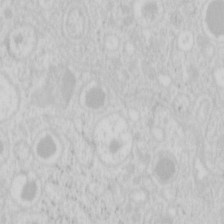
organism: Mouse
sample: Pancreas